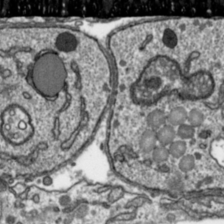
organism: Toxoplasma gondii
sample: Parasites in a vacuole inside a host cell